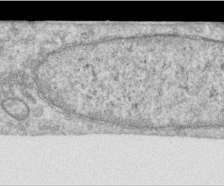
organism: Human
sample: Centriole in RPE cells